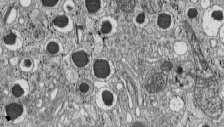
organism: C57BL Mouse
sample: Pancreatic islet